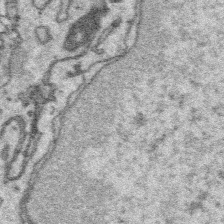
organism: Platynereis dumerilii